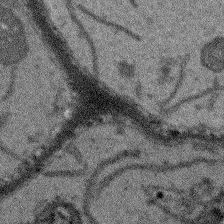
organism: Arabidopsis thaliana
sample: Root tip